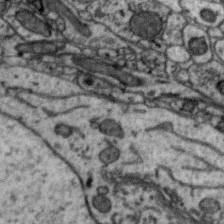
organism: Zebra finch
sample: Brain